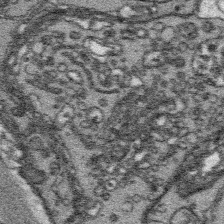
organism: Platynereis dumerilii